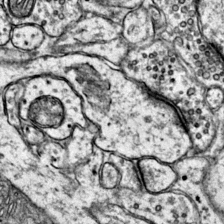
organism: Mouse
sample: Primary visual cortex